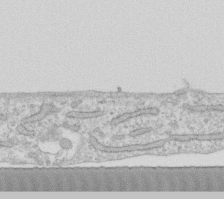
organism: Human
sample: Fibroblast cells